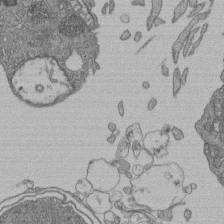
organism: Human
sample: Retinal organoid Rod and Cone cells